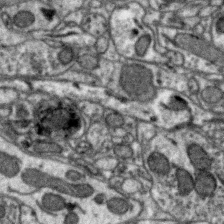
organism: Zebra finch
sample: Brain